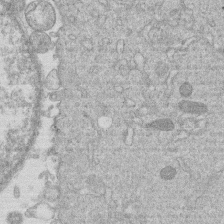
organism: Human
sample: Macrophage cells